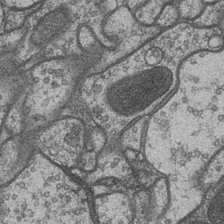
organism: Drosophila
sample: Optic medulla